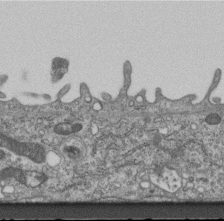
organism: Mouse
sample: Centriole in ependymal cells